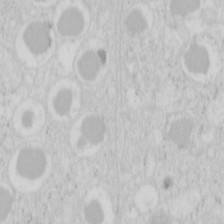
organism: Mouse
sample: Pancreas